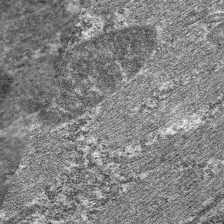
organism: C. elegans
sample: Pharynx